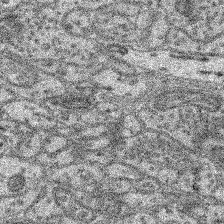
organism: Mouse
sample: Retina